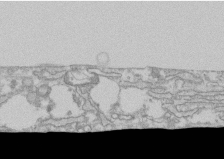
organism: Human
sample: CRL-1474